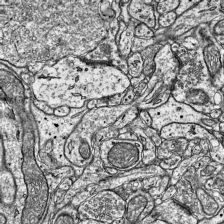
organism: Mouse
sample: Visual Cortex